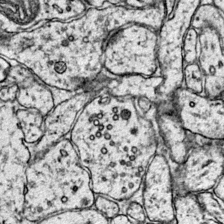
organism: Mouse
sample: Primary visual cortex